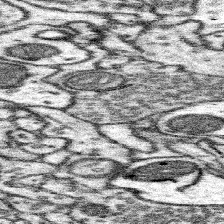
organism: Mouse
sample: Somatosensory cortex neuropil